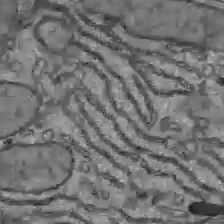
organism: C57BL Mouse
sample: Liver